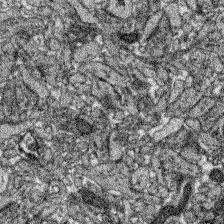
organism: Zebrafish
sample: Larval olfactory bulb